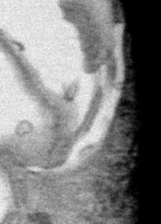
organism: Human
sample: Mitochondria in HCT116 cells